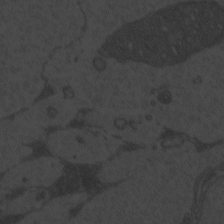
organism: Zebrafish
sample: Macrophage infected with Toxoplasma gondii